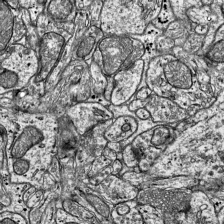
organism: Mouse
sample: Visual Cortex